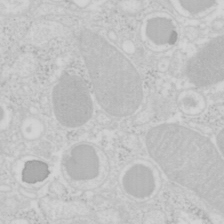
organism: Mouse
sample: Pancreas